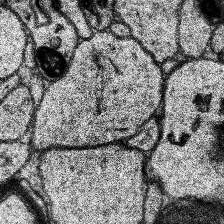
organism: Human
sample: Temporal Lobe